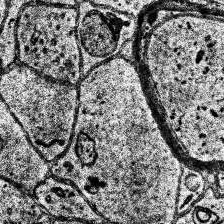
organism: Human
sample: Temporal Lobe